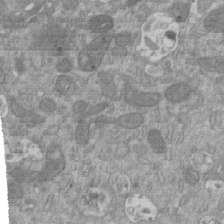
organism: Mouse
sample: ED-1 cell nuclei; centrioles